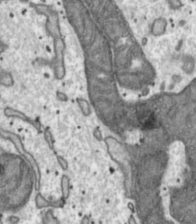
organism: Toxoplasma gondii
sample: Parasites in a vacuole inside a host cell